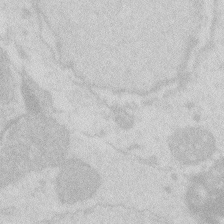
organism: Zebrafish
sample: Macrophage